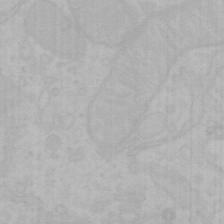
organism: Mouse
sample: Choroid plexus